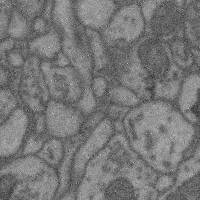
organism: Mouse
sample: Cerebral cortex